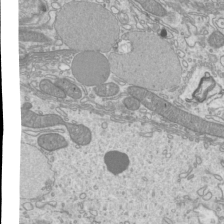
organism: Mouse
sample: Cilia; mouse epididymis